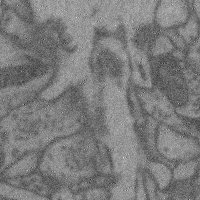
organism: Mouse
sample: Cerebral cortex